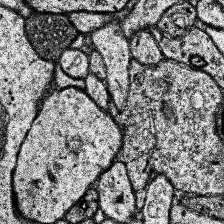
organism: Human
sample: Temporal Lobe